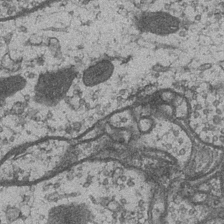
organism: Drosophila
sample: Optic medulla